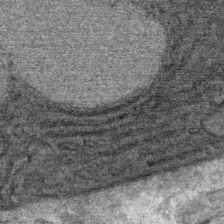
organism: Mouse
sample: Mouse Salivary gland